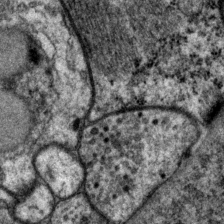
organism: P. pacificus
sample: Pharynx